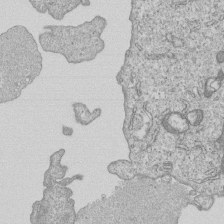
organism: Human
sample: MDA-MB-231 cells